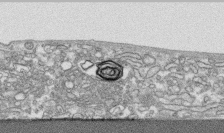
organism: Human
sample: CRL-1474